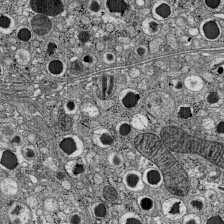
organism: C57BL Mouse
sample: Pancreatic islet